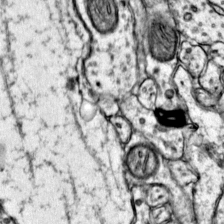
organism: Mouse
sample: Primary visual cortex